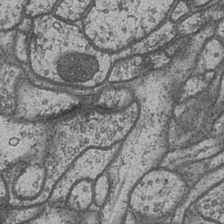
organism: Drosophila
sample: Optic medulla